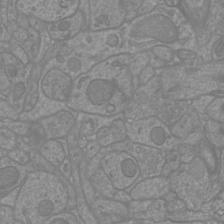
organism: Mouse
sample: Cortical neurons